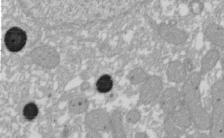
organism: Xenopus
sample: Cilia; centrioles in frog embryo cells